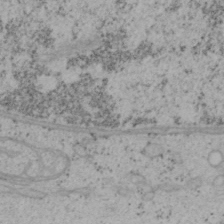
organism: Human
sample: HeLa cells